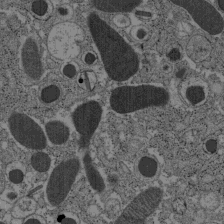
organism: C57BL Mouse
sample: Pancreatic islet